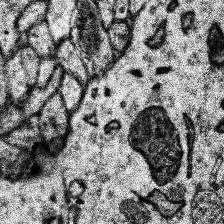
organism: Human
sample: Temporal Lobe